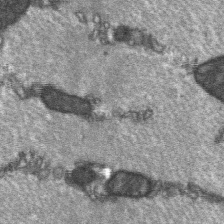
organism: C57BL Mouse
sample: Soleus